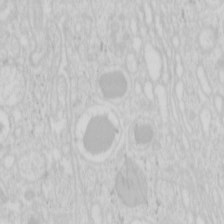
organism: Mouse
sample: Pancreas